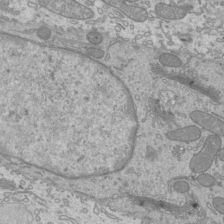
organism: Mouse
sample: Cilia; mouse epididymis